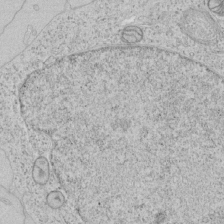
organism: Human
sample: Mitochondria in HCT116 cells